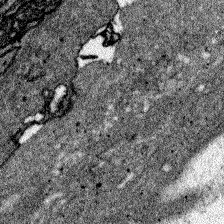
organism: Zebrafish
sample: Larval olfactory bulb